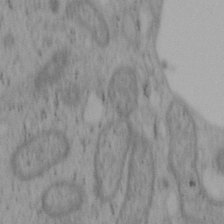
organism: Mouse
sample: OT-I killer T cells with ID8 ovarian cancer cells